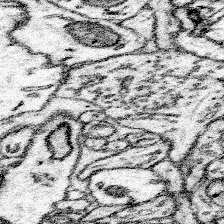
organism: Mouse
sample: Somatosensory cortex neuropil